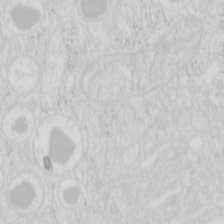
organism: Mouse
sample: Pancreas